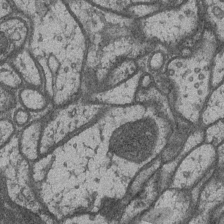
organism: Drosophila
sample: Optic medulla